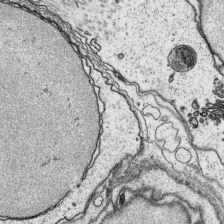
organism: Platynereis dumerilii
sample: Parapodia